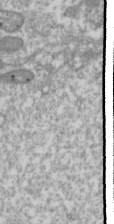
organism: Drosophila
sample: Cell division; meiosis; drosophila spermatocytes